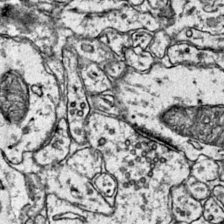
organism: Mouse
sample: Primary visual cortex